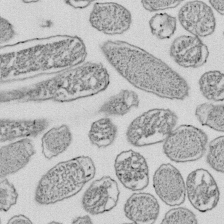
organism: E. coli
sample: Bacterial nucleoid